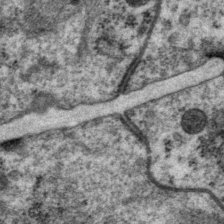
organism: P. pacificus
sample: Pharynx